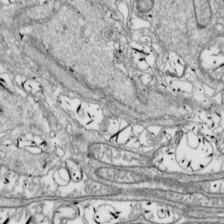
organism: Drosophila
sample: Cell division; meiosis; drosophila spermatocytes